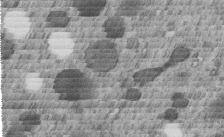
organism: C. elegans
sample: C. elegans embryo early stage